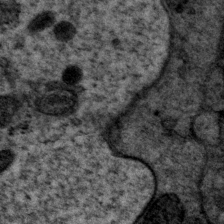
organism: P. pacificus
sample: Pharynx